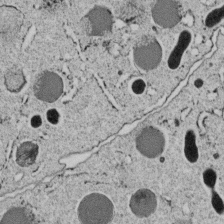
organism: C. elegans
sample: C. elegans embryo early stage